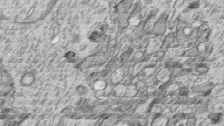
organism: Zebrafish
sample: synaptic ribbons in rod cells and cone cells